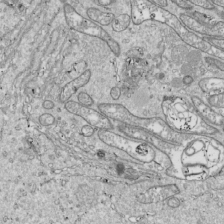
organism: Drosophila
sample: Cell division; meiosis; drosophila spermatocytes